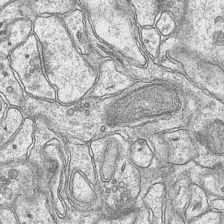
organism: Mouse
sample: CA1 Hippocampus